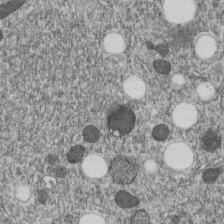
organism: C. elegans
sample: C. elegans embryo early stage